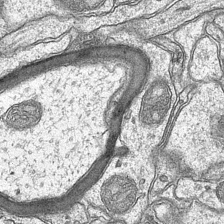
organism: Mouse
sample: CA1 Hippocampus